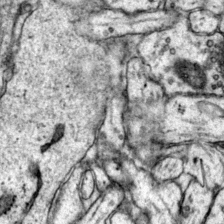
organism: Mouse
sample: Primary visual cortex